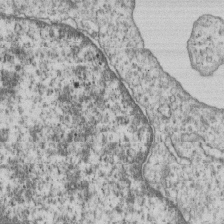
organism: Human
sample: MDA-MB-231 cells